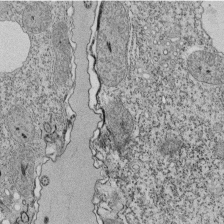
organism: Tetrahymena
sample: Cilia in tetrahymena